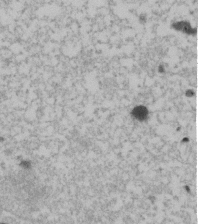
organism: Human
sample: U2-OS cells